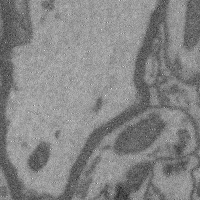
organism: Mouse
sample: Cerebral cortex